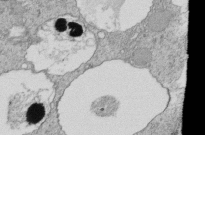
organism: Tetrahymena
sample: Cilia in tetrahymena